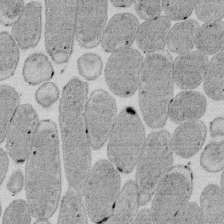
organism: E. coli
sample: Bacterial nucleoid